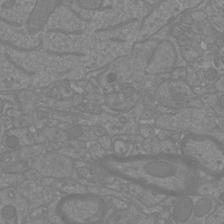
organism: Mouse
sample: Cortical neurons